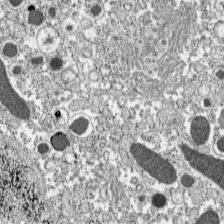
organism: C57BL Mouse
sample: Pancreatic islet